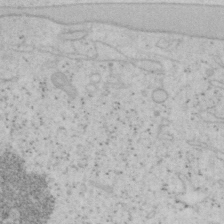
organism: Human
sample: HeLa cells